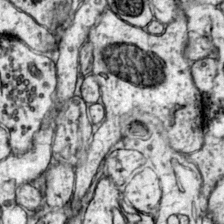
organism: Mouse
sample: Primary visual cortex